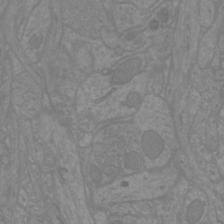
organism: Mouse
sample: Cortical neurons